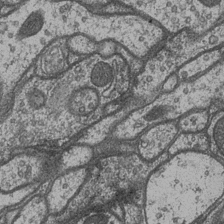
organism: Drosophila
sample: Optic medulla